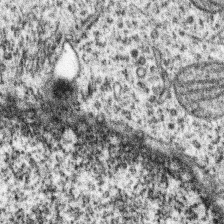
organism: Human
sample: HeLa cells